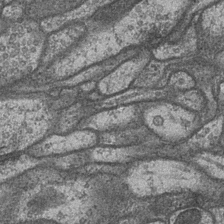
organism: Drosophila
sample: Optic medulla